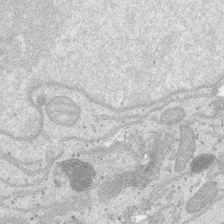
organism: Human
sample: Lung epithelial cells infected with SARS-CoV-2